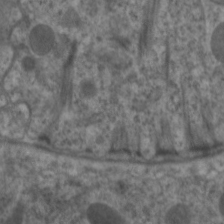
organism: C. elegans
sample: Pharynx